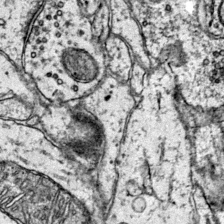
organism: Mouse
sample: Primary visual cortex